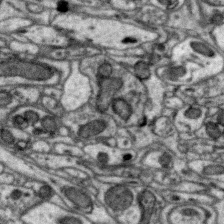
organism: Zebra finch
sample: Brain